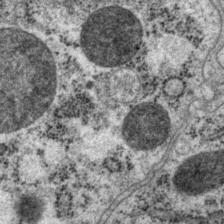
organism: P. pacificus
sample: Pharynx